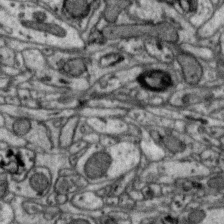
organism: Zebra finch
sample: Brain